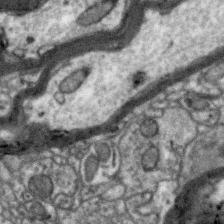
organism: Zebra finch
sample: Brain